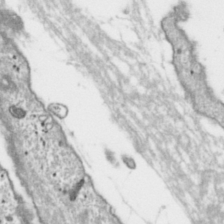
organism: Toxoplasma gondii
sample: Parasites in a vacuole inside a host cell